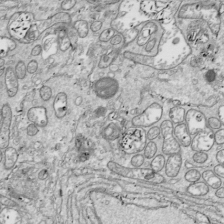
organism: Drosophila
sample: Cell division; meiosis; drosophila spermatocytes